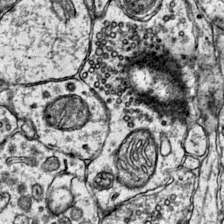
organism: Mouse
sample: Primary visual cortex